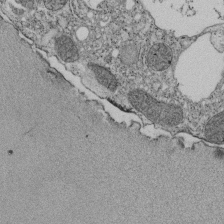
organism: Tetrahymena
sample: Cilia in tetrahymena